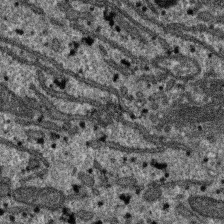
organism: Human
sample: Lung epithelial cells infected with SARS-CoV-2